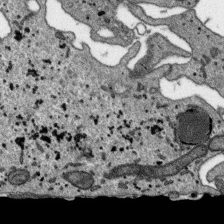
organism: Human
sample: Lung epithelial cells, uninfected (mock) control